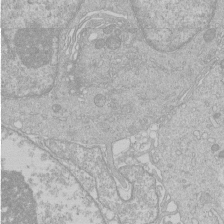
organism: Human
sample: Macrophage cells